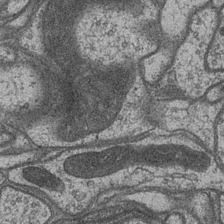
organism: Drosophila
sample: Optic medulla